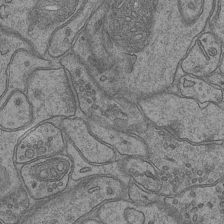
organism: Mouse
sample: CA1 Hippocampus